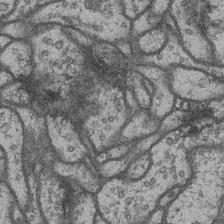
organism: Drosophila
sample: Optic medulla